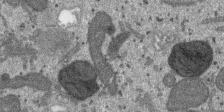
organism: Human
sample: Lung epithelial cells infected with SARS-CoV-2